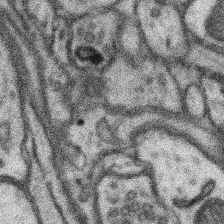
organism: Mouse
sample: Somatosensory cortex neuropil